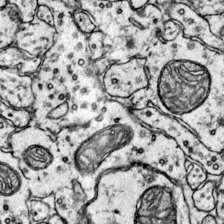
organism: Mouse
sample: Primary visual cortex